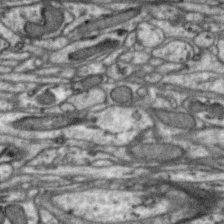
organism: Zebra finch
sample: Brain